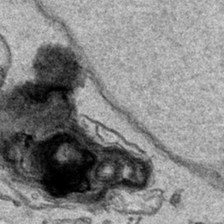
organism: Human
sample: Mitochondria in HCT116 cells